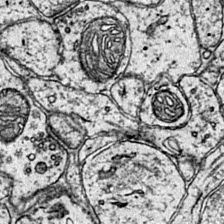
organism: Mouse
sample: Primary visual cortex